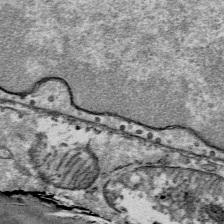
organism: Mouse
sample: Mouse Salivary gland